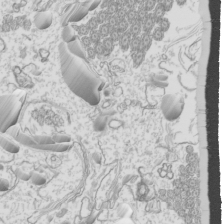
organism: Mouse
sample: Cilia; mouse epididymis